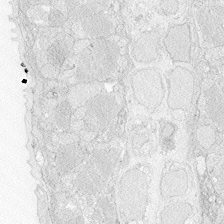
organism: Zebrafish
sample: Whole-Brain